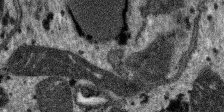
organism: Human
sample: Lung epithelial cells infected with SARS-CoV-2